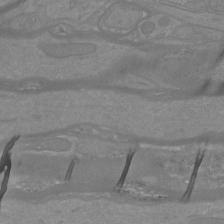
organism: Mouse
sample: Cortical neurons